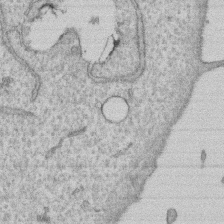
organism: Human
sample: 1205lu cells